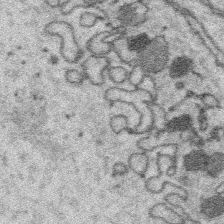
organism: Platynereis dumerilii